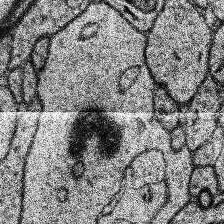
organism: Human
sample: Temporal Lobe